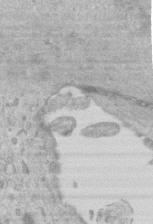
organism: Mouse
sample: Centriole in ependymal cells